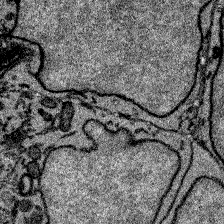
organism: Zebrafish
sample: Larval olfactory bulb